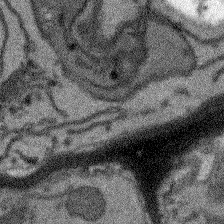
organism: Arabidopsis thaliana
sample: Root tip